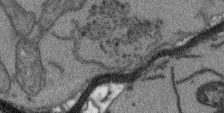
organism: Arabidopsis thaliana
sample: Root tip